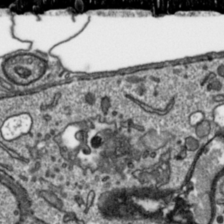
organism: Toxoplasma gondii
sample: Parasites in a vacuole inside a host cell